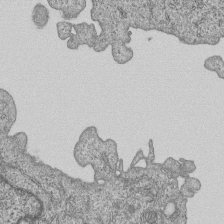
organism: Human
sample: MDA-MB-231 cells